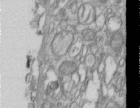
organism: Human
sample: Centriole in RPE cells